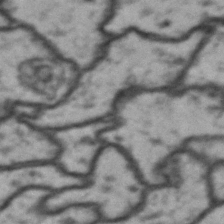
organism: Drosophila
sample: Brain